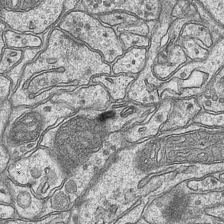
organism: Mouse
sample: CA1 Hippocampus